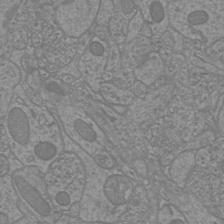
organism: Mouse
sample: Cortical neurons